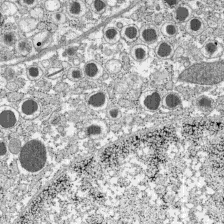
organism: C57BL Mouse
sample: Pancreatic islet